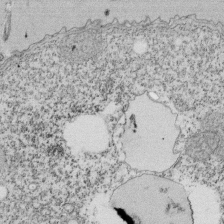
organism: Tetrahymena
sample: Cilia in tetrahymena